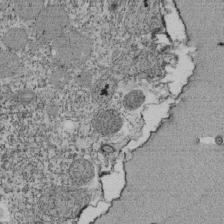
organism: Tetrahymena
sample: Cilia in tetrahymena